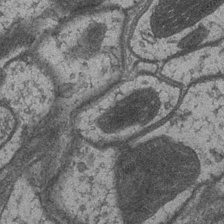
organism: Drosophila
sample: Optic medulla